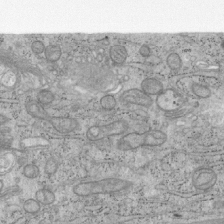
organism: Human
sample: HeLa cells